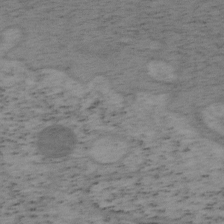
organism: Mouse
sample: OT-I killer T cells with ID8 ovarian cancer cells